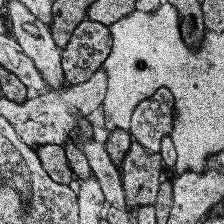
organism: Human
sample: Temporal Lobe